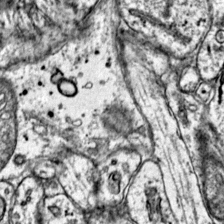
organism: Mouse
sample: Primary visual cortex